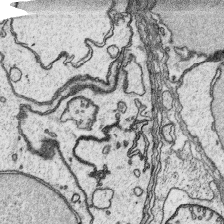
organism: Platynereis dumerilii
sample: Parapodia